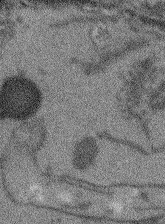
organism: Arabidopsis thaliana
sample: Root tip